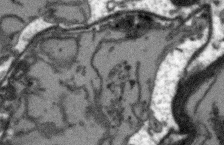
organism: Arabidopsis thaliana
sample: Root tip